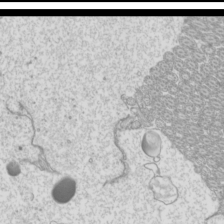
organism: Mouse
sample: Cilia; mouse epididymis